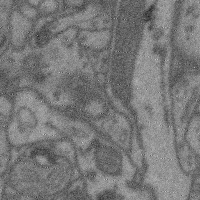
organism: Mouse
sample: Cerebral cortex